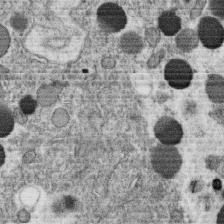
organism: C. elegans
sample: C. elegans oocyte; sperm cells